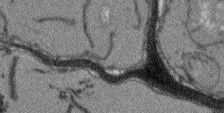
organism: Arabidopsis thaliana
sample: Root tip